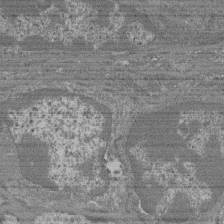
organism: Mouse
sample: Glomerulus